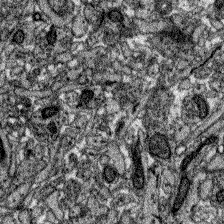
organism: Zebrafish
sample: Larval olfactory bulb